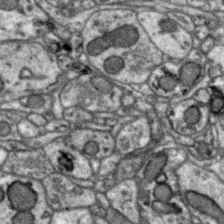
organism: Zebra finch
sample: Brain